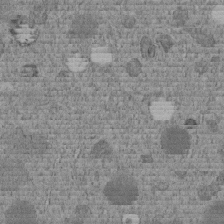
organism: C. elegans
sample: C. elegans embryo early stage